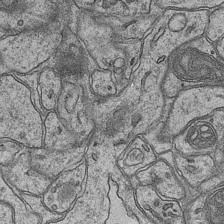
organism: Mouse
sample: CA1 Hippocampus